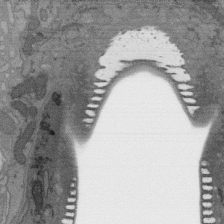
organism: C. elegans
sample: AFD neurons C. elegans